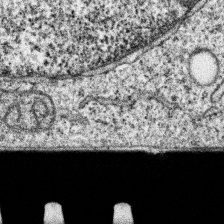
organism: Human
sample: HeLa cells